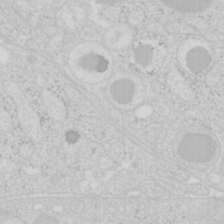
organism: Mouse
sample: Pancreas